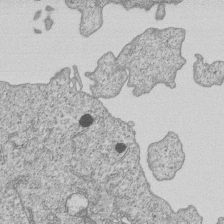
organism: Human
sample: MDA-MB-231 cells